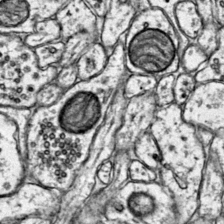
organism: Mouse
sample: Primary visual cortex